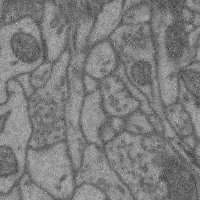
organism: Mouse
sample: Cerebral cortex